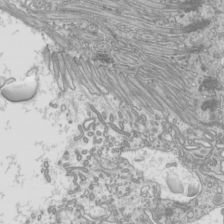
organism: Mouse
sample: Cilia; mouse epididymis